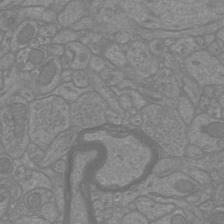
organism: Mouse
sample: Cortical neurons